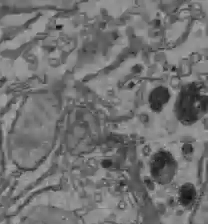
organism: C57BL Mouse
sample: Liver